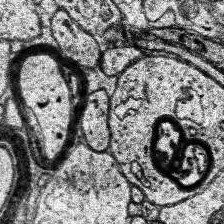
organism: Human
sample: Temporal Lobe